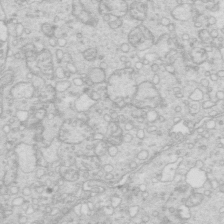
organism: Mouse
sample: Multiciliated cells